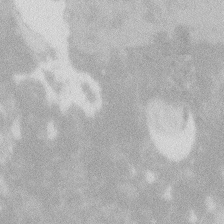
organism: Zebrafish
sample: Macrophage